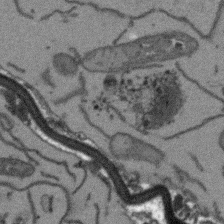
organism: Arabidopsis thaliana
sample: Root tip